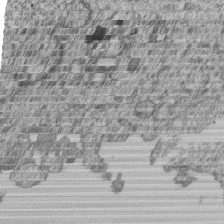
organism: Human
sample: MDA-MB-231 cells